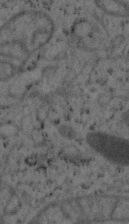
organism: Human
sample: HeLa cells